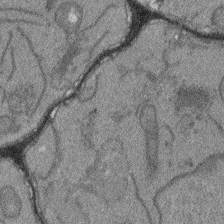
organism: Arabidopsis thaliana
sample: Root tip